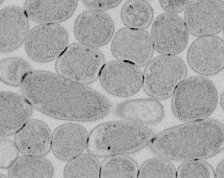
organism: E. coli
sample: Bacterial nucleoid